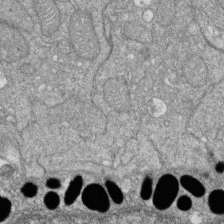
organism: Zebrafish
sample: Cilia; retinal pigment epithelium